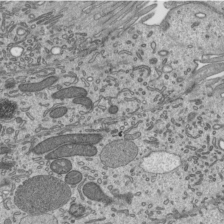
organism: Mouse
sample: Mouse epididymis efferent ductule cilia